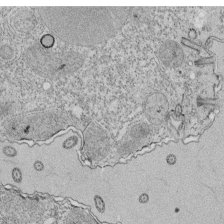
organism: Tetrahymena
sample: Cilia in tetrahymena